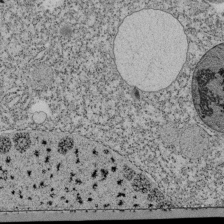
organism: Tetrahymena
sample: Cilia in tetrahymena